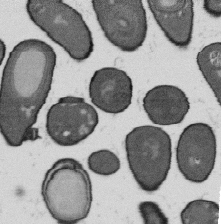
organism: B. subtilis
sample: Bacterial spore